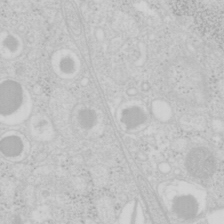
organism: Mouse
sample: Pancreas